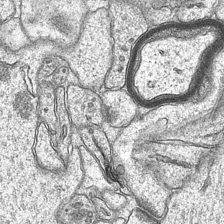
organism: Mouse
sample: CA1 Hippocampus